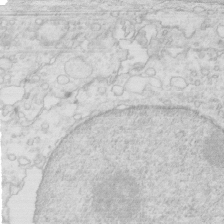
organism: Mouse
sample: Multiciliated cells